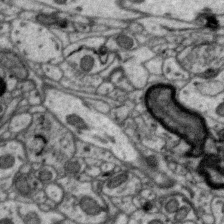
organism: Zebra finch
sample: Brain